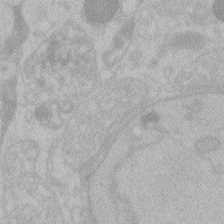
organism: Zebrafish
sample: Macrophage infected with Toxoplasma gondii